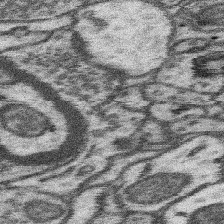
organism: Mouse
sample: Somatosensory cortex neuropil